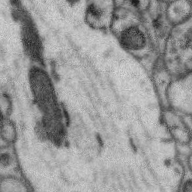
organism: Zebra finch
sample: Brain